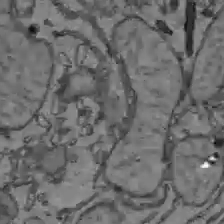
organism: C57BL Mouse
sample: Liver